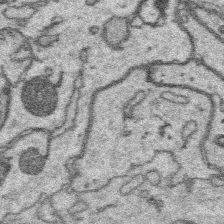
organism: Platynereis dumerilii